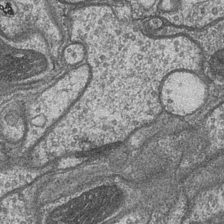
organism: Drosophila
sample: Optic medulla